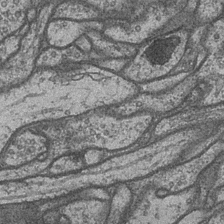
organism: Drosophila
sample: Optic medulla